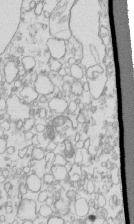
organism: Mouse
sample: Macrophages